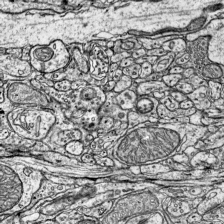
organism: Mouse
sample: Visual Cortex